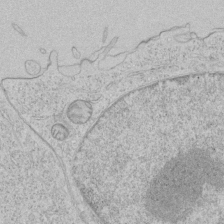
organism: Human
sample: Mitochondria in HCT116 cells